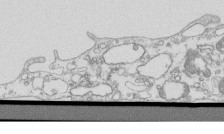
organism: Mouse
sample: Macrophages